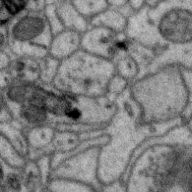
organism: Zebra finch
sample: Brain